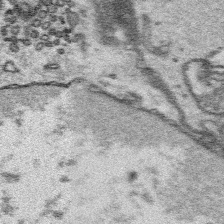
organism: Platynereis dumerilii